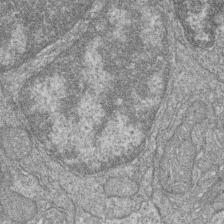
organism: Zebrafish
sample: Cilia; retinal pigment epithelium